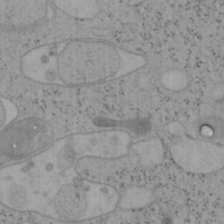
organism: Mouse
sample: OT-I killer T cells with ID8 ovarian cancer cells